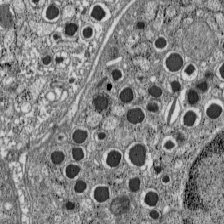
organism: C57BL Mouse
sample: Pancreatic islet